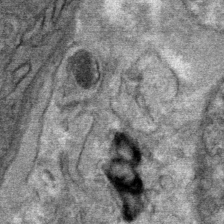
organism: Mouse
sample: Mouse Salivary gland